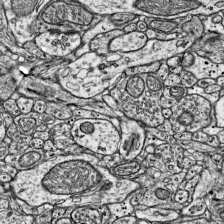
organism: Mouse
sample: Visual Cortex